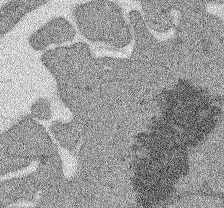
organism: Human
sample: HeLa cells